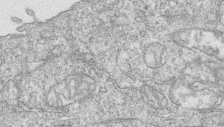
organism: Human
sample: HeLa cell HIV synapse